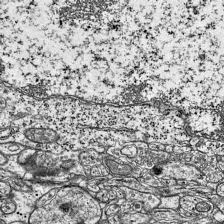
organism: Mouse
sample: Visual Cortex